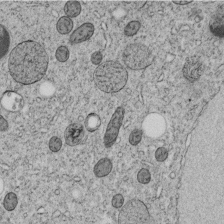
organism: C. elegans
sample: C. elegans embryo early stage